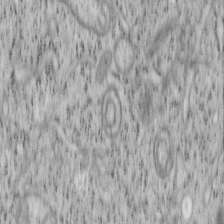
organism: Human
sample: HeLa cells